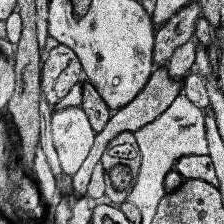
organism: Human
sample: Temporal Lobe